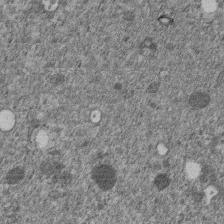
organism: C. elegans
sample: C. elegans embryo early stage